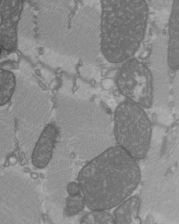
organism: C57BL Mouse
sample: Heart